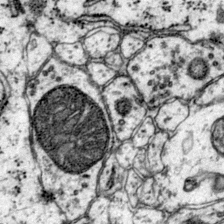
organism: Mouse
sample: Primary visual cortex